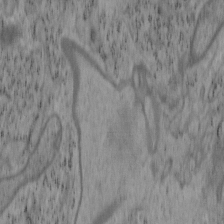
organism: Human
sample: HeLa cells